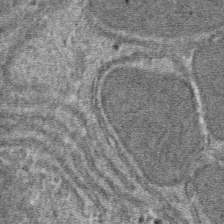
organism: Mouse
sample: Mouse hepatocytes